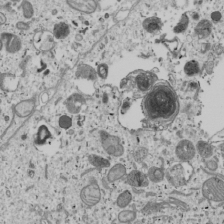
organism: Human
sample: Mitochondria in U2OS cells